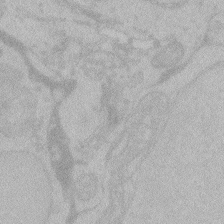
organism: Zebrafish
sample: Macrophage infected with Toxoplasma gondii